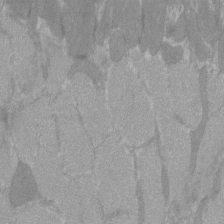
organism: C57BL Mouse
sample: Tibialis anterior muscle cell